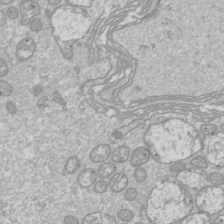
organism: Drosophila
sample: Cell division; meiosis; drosophila spermatocytes